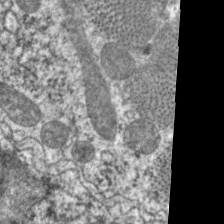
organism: C. elegans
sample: Pharynx